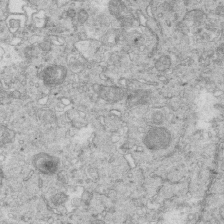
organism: Mouse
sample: Multiciliated cells